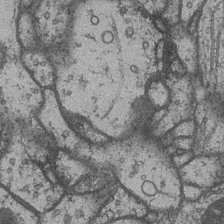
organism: Drosophila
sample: Optic medulla